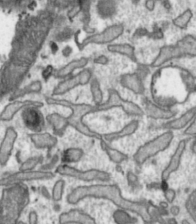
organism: Toxoplasma gondii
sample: Parasites in a vacuole inside a host cell